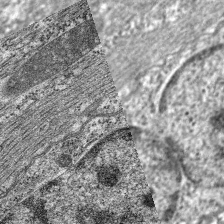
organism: C. elegans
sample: Pharynx